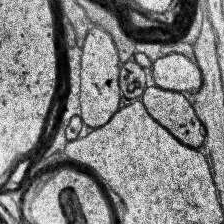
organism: Human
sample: Temporal Lobe